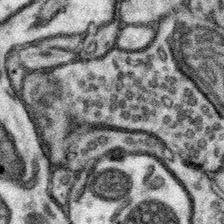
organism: Mouse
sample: Somatosensory cortex neuropil